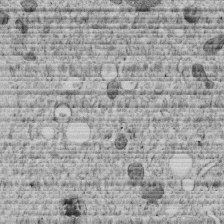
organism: C. elegans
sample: C. elegans embryo early stage